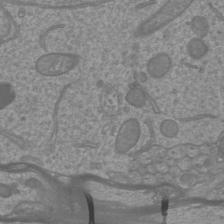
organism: Mouse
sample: Cortical neurons